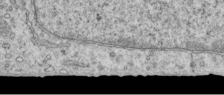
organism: Human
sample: Centriole in RPE cells